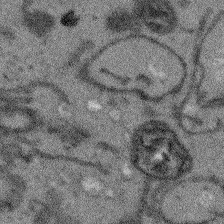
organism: Arabidopsis thaliana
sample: Root tip